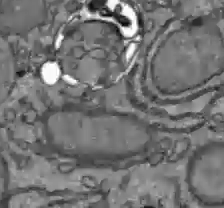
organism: C57BL Mouse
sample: Liver